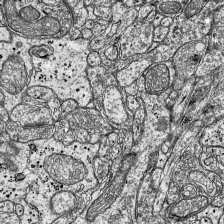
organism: Mouse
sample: Visual Cortex